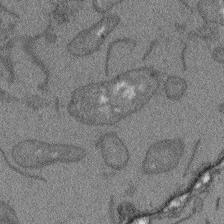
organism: Arabidopsis thaliana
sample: Root tip